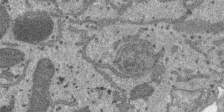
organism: Human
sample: Lung epithelial cells infected with SARS-CoV-2